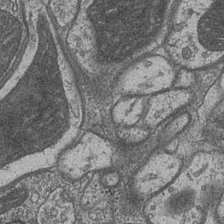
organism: Drosophila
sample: Optic medulla